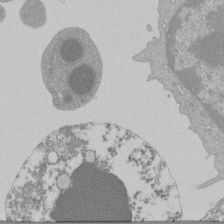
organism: Mouse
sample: Activated Pmel transgenic CD8+ T Cells